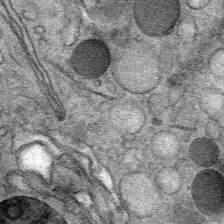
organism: Mouse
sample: Mouse Salivary gland